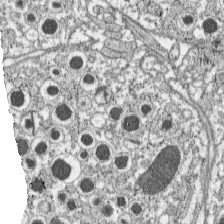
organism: C57BL Mouse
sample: Pancreatic islet